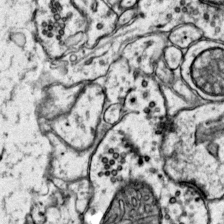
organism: Mouse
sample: Primary visual cortex